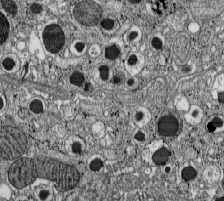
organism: C57BL Mouse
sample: Pancreatic islet